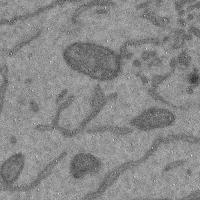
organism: Mouse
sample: Cerebral cortex